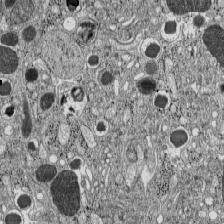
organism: C57BL Mouse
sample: Pancreatic islet